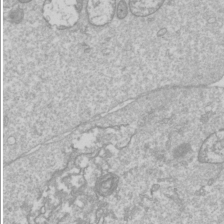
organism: Drosophila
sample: Cell division; meiosis; drosophila spermatocytes